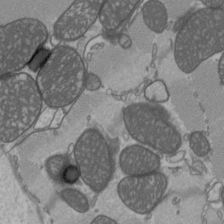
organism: C57BL Mouse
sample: Heart